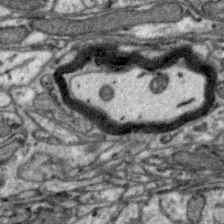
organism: Zebra finch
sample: Brain